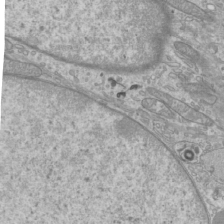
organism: Mouse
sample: Cilia; mouse epididymis